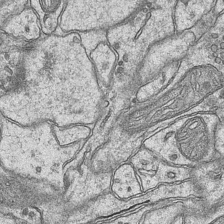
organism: Mouse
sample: CA1 Hippocampus